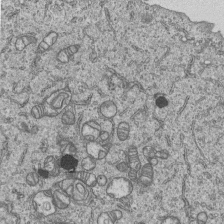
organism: Human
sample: MDA-MB-231 cells